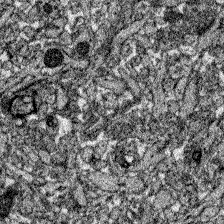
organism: Zebrafish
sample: Larval olfactory bulb